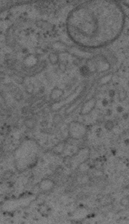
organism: Human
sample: HeLa cells